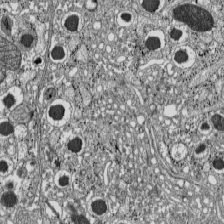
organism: C57BL Mouse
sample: Pancreatic islet